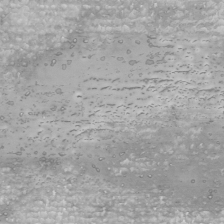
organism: Human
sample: Mitochondria in U2OS cells